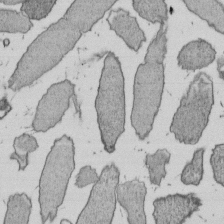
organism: E. coli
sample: Bacterial nucleoid